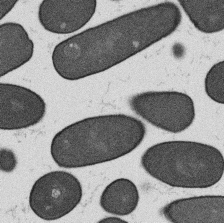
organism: B. subtilis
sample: Bacterial spore